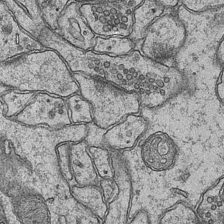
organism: Mouse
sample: CA1 Hippocampus